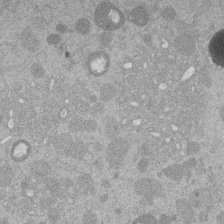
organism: Mouse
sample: Dividing mouse embryo 1 cell stage